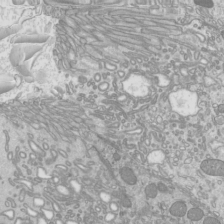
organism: Mouse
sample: Cilia; mouse epididymis